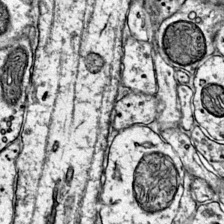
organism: Mouse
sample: Primary visual cortex